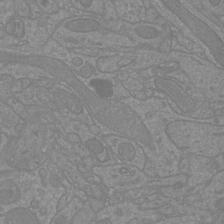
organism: Mouse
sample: Cortical neurons